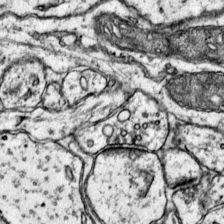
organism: Mouse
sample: Primary visual cortex